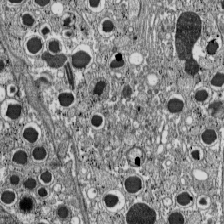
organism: C57BL Mouse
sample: Pancreatic islet